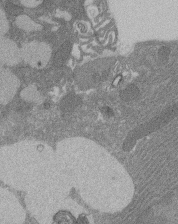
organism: Rat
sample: Salivary granule